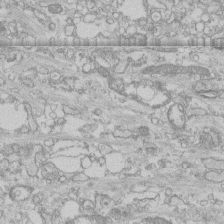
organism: Human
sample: CRL-1474